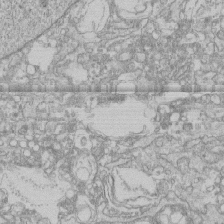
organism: Human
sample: CRL-1474